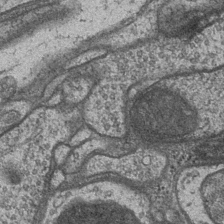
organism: Drosophila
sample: Optic medulla